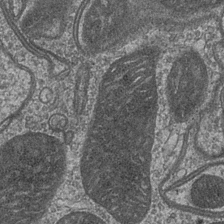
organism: Drosophila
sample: Optic medulla